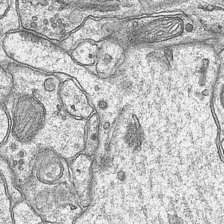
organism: Mouse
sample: CA1 Hippocampus